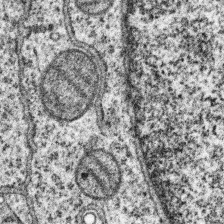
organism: Human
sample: HeLa cells